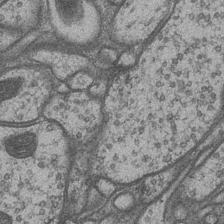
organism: Drosophila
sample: Optic medulla